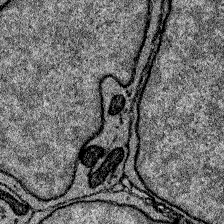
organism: Zebrafish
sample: Larval olfactory bulb